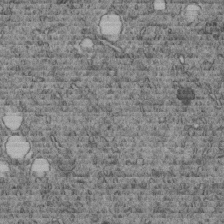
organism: C. elegans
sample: C. elegans embryo early stage